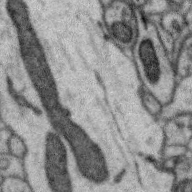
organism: Zebra finch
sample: Brain